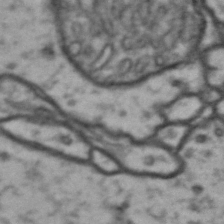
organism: Drosophila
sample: Brain